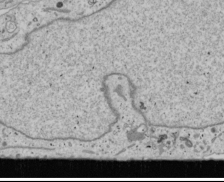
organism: Human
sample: Mitochondria in U2OS cells